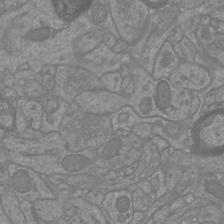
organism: Mouse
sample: Cortical neurons